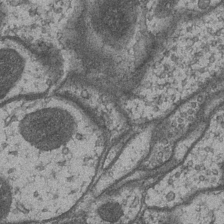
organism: Drosophila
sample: Optic medulla